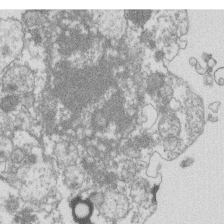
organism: Human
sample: HeLa cell HIV synapse